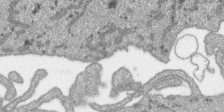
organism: Human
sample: Lung epithelial cells infected with SARS-CoV-2